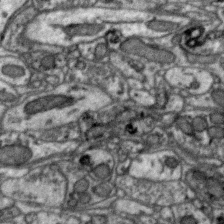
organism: Zebra finch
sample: Brain